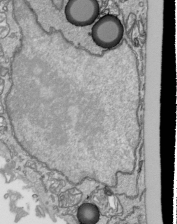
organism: Human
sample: Mitochondria in HCT116 cells